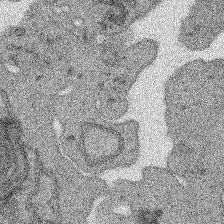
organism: Human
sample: HeLa cells